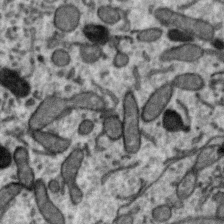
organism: Zebra finch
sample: Brain